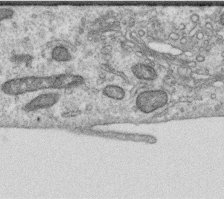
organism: Human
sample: Centriole in RPE cells